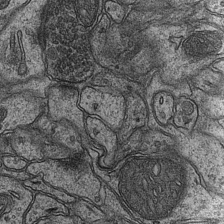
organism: Mouse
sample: CA1 Hippocampus